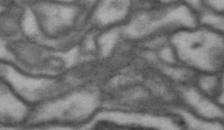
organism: Drosophila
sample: Brain